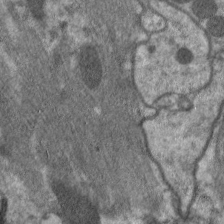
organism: C. elegans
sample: Pharynx